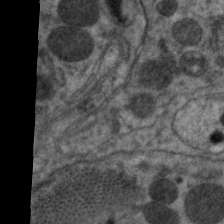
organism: C. elegans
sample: Pharynx